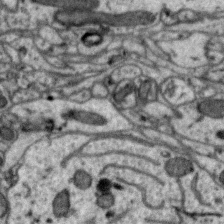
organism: Zebra finch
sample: Brain